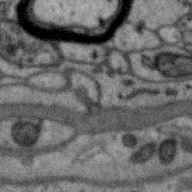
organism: Zebra finch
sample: Brain